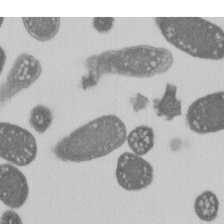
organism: E. coli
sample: Bacterial nucleoid